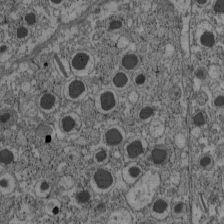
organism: C57BL Mouse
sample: Pancreatic islet